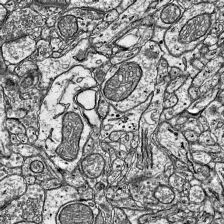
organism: Mouse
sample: Visual Cortex